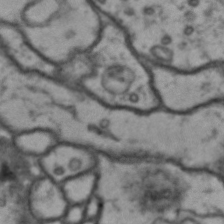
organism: Drosophila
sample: Brain